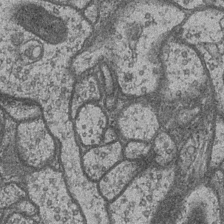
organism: Drosophila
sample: Optic medulla